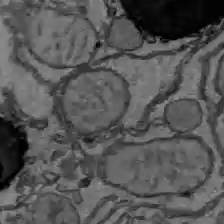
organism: C57BL Mouse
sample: Liver